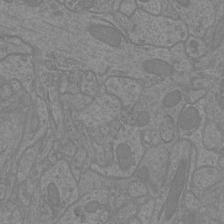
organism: Mouse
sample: Cortical neurons